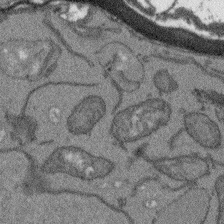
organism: Arabidopsis thaliana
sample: Root tip